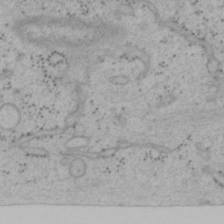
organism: Human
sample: HeLa cells